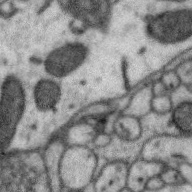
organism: Zebra finch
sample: Brain